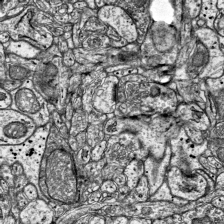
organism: Mouse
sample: Visual Cortex